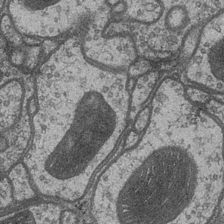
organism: Drosophila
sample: Optic medulla